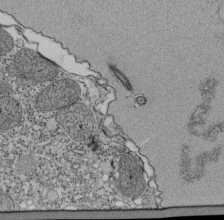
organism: Tetrahymena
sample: Cilia in tetrahymena